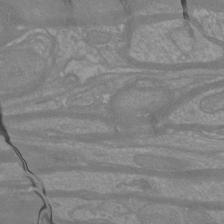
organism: Mouse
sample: Cortical neurons